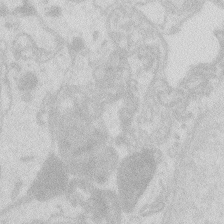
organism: Zebrafish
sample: Macrophage